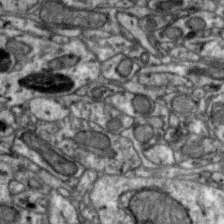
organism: Zebra finch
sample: Brain